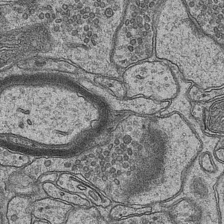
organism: Mouse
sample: CA1 Hippocampus